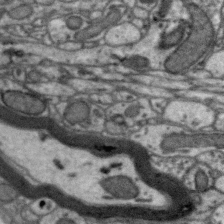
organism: Zebra finch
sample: Brain